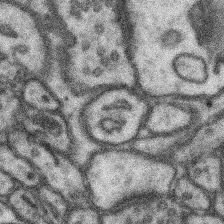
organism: Mouse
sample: Somatosensory cortex neuropil